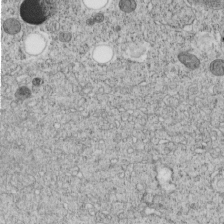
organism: C. elegans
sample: C. elegans embryo early stage